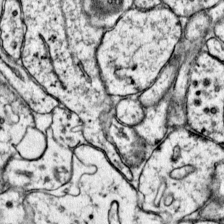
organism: Mouse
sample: Primary visual cortex